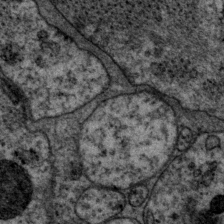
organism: P. pacificus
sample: Pharynx